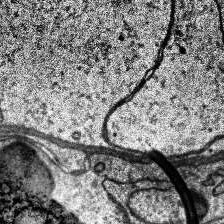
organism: Human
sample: Temporal Lobe